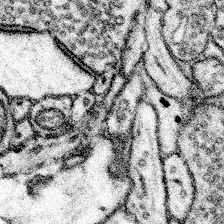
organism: Mouse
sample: Somatosensory cortex neuropil